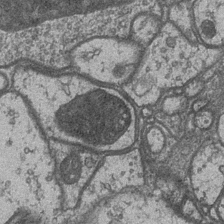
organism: Drosophila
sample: Optic medulla